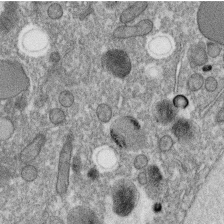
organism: C. elegans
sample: C. elegans oocyte; sperm cells